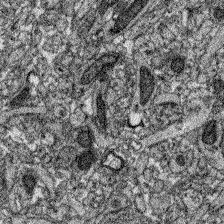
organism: Zebrafish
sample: Larval olfactory bulb